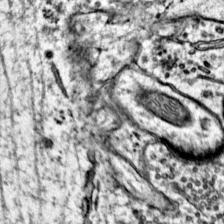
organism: Mouse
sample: Primary visual cortex